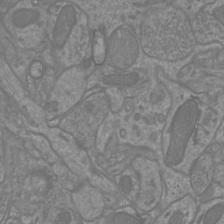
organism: Mouse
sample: Cortical neurons